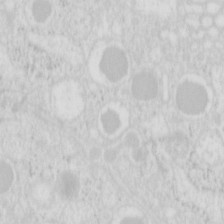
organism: Mouse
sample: Pancreas